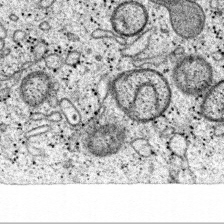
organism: Human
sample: HeLa cells